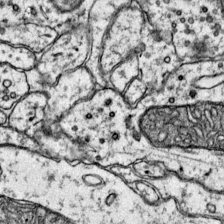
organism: Mouse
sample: Primary visual cortex